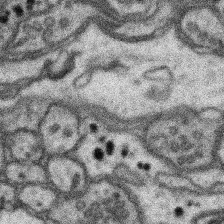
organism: Mouse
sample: Somatosensory cortex neuropil